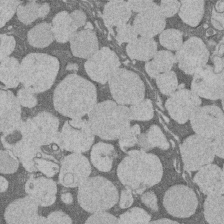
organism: Rat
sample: Salivary granule